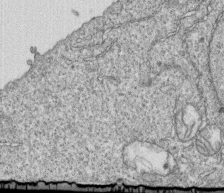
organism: Human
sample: HeLa cell HIV synapse